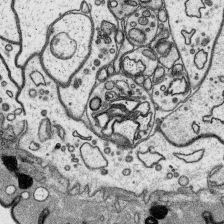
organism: Platynereis dumerilii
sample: Parapodia